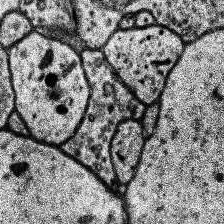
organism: Human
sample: Temporal Lobe